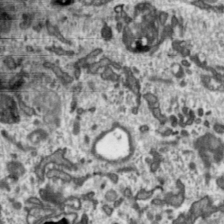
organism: Toxoplasma gondii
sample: Parasites in a vacuole inside a host cell